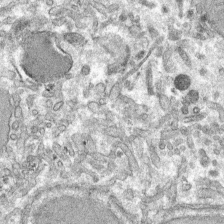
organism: Mouse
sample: Mouse hepatocytes